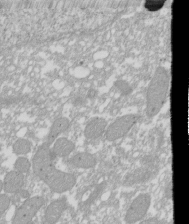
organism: Xenopus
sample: Cilia; centrioles in frog embryo cells